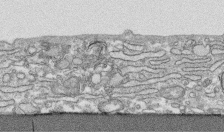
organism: Human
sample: CRL-1474